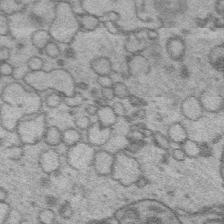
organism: Platynereis dumerilii